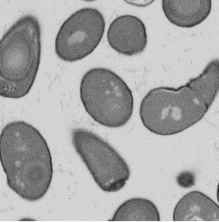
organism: B. subtilis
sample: Bacterial spore